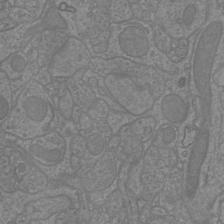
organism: Mouse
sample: Cortical neurons